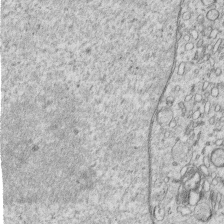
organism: Human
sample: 1205lu cells